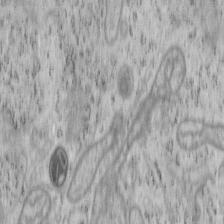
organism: Human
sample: HeLa cells